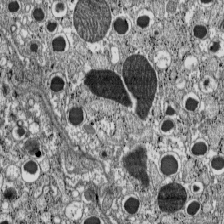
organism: C57BL Mouse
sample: Pancreatic islet